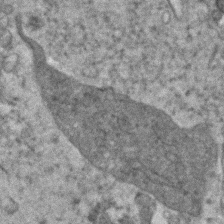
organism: Human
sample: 1205lu cells